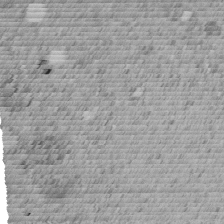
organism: C. elegans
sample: C. elegans embryo early stage